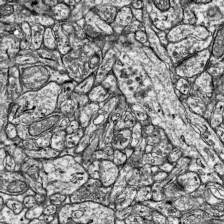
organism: Mouse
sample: Visual Cortex